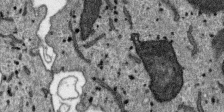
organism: Human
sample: Lung epithelial cells, uninfected (mock) control